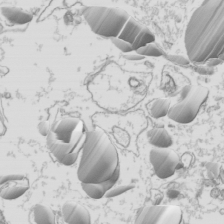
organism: Mouse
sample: Cilia; mouse epididymis